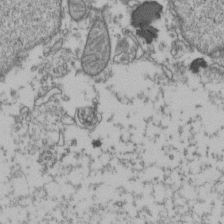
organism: Human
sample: Activated Jurkat CD4+ T cells